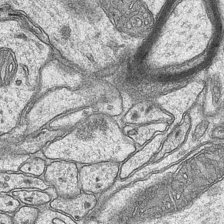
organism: Mouse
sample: CA1 Hippocampus